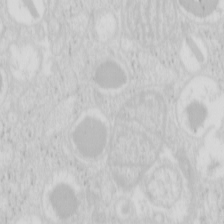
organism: Mouse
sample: Pancreas